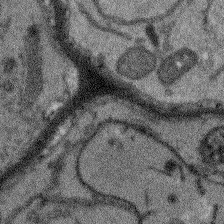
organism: Arabidopsis thaliana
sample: Root tip